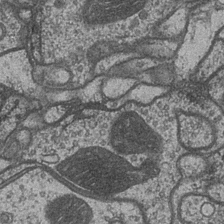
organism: Drosophila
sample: Optic medulla